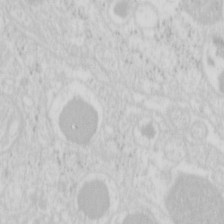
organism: Mouse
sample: Pancreas